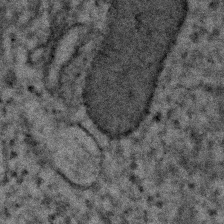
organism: Human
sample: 1205lu cells